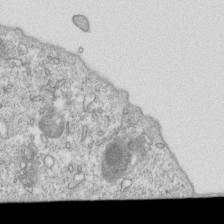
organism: Mouse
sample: Activated OT-1 CD8+ T cells